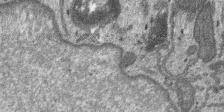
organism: Human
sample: Lung epithelial cells infected with SARS-CoV-2